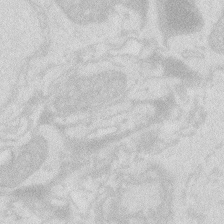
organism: Zebrafish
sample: Macrophage